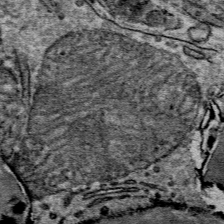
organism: Mouse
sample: Mouse Salivary gland